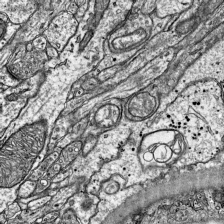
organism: Mouse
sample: Visual Cortex